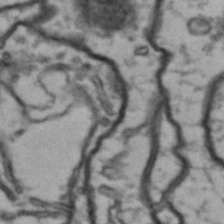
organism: Drosophila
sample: Brain